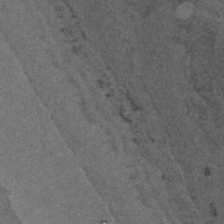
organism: C. elegans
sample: C. elegans embryo